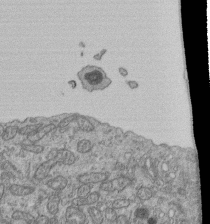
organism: Human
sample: Retinal organoid Rod and Cone cells